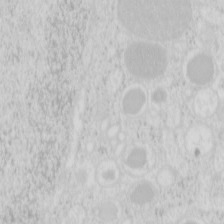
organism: Mouse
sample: Pancreas